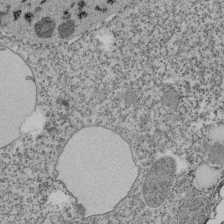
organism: Tetrahymena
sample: Cilia in tetrahymena